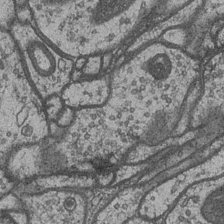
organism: Drosophila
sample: Optic medulla